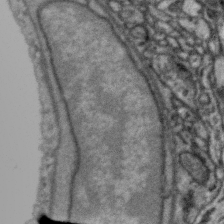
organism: Zebra finch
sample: Brain